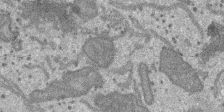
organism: Human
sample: Lung epithelial cells infected with SARS-CoV-2